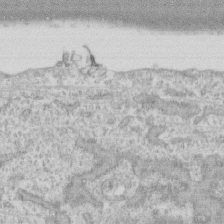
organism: Human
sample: CRL-1474